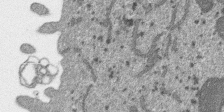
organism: Human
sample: Lung epithelial cells infected with SARS-CoV-2